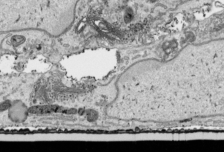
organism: Human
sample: Mitochondria in HCT116 cells